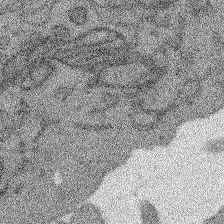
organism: Human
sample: HeLa cells